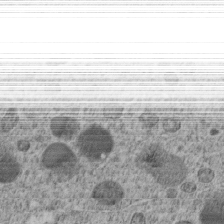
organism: C. elegans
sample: C. elegans embryo early stage